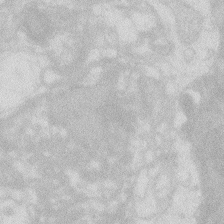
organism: Zebrafish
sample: Macrophage